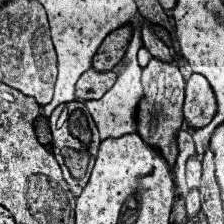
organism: Human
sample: Temporal Lobe